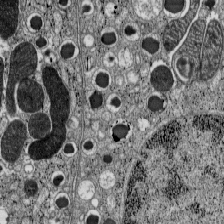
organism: C57BL Mouse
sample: Pancreatic islet